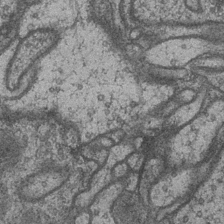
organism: Drosophila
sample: Optic medulla